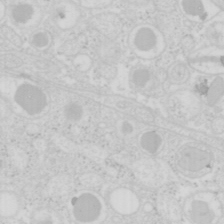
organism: Mouse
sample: Pancreas